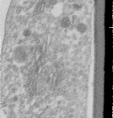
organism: Human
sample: Centriole in RPE cells